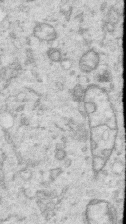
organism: Human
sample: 1205lu cells